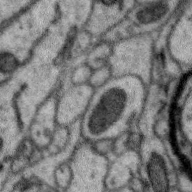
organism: Zebra finch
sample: Brain